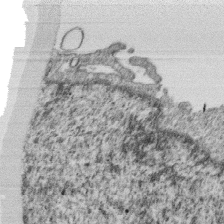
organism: African green monkey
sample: Vero E6 cells infected with SARS-CoV-2